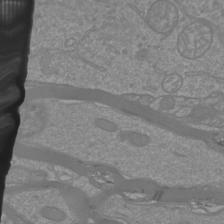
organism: Mouse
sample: Cortical neurons